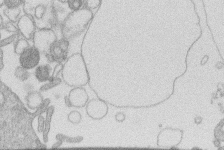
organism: Human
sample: Macrophage cells